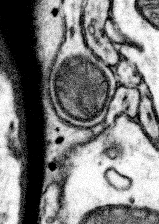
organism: Mouse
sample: Somatosensory cortex neuropil